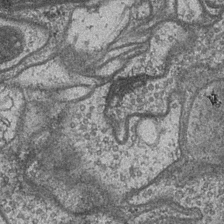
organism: Drosophila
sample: Optic medulla